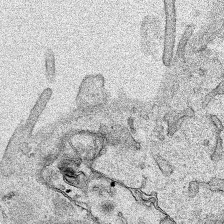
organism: Human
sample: Mitochondria in HCT116 cells